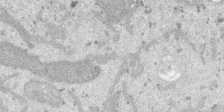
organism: Human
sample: Lung epithelial cells infected with SARS-CoV-2